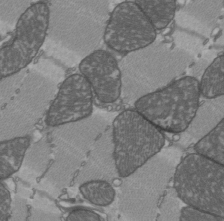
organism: C57BL Mouse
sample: Heart